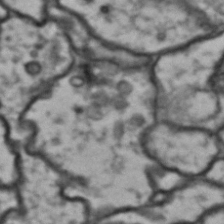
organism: Drosophila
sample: Brain